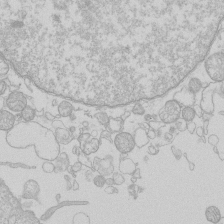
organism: Human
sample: Macrophage cells